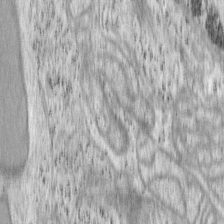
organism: Human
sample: HeLa cells